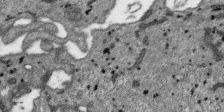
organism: Human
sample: Lung epithelial cells, uninfected (mock) control